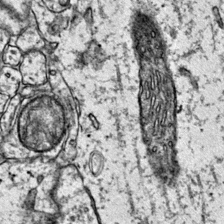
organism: Mouse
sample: Primary visual cortex